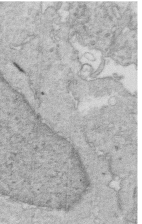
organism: Mouse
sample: Multiciliated cells